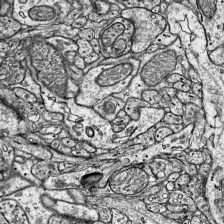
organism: Mouse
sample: Visual Cortex